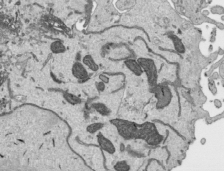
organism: Human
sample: Mitochondria in HCT116 cells